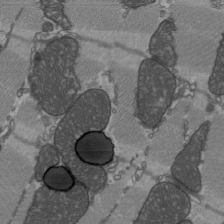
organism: C57BL Mouse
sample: Heart